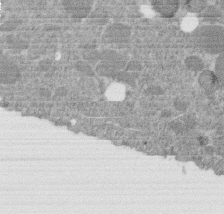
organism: C. elegans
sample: C. elegans embryo early stage